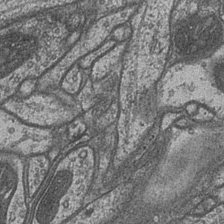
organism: Drosophila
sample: Optic medulla